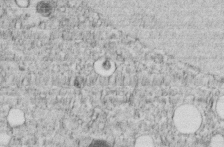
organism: C. elegans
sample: C. elegans embryo early stage